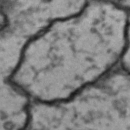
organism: Drosophila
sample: Brain